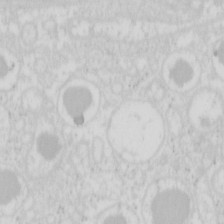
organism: Mouse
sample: Pancreas